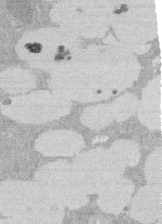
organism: Rat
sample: Salivary granule